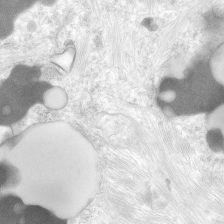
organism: Human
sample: Neocortex